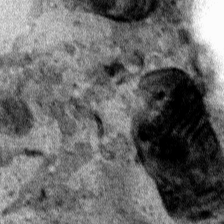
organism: Human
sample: Mitochondria in HCT116 cells